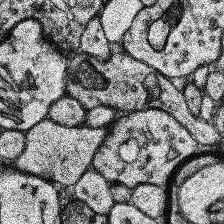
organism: Human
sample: Temporal Lobe